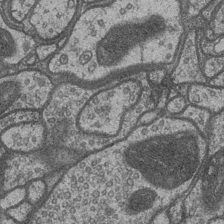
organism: Drosophila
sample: Optic medulla